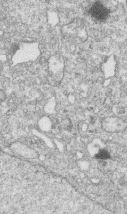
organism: Human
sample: HeLa cell HIV synapse